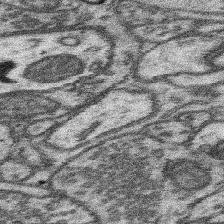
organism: Mouse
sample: Somatosensory cortex neuropil